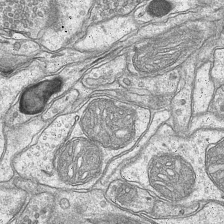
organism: Mouse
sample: CA1 Hippocampus